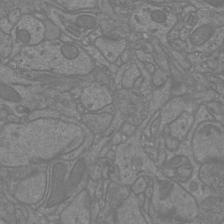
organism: Mouse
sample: Cortical neurons